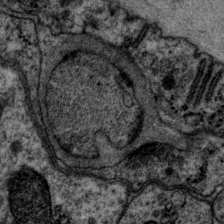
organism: P. pacificus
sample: Pharynx